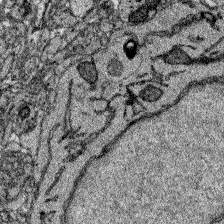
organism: Zebrafish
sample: Larval olfactory bulb